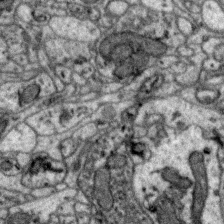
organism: Zebra finch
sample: Brain